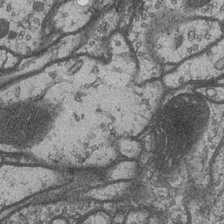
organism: Drosophila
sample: Optic medulla